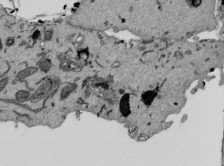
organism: Mouse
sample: ED-1 cell nuclei; centrioles